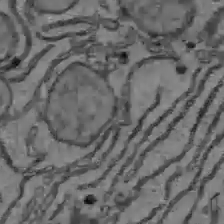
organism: C57BL Mouse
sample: Liver